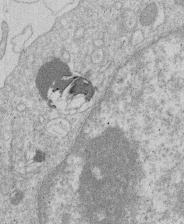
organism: Human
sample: Macrophage cells